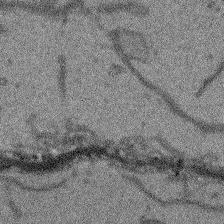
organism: Arabidopsis thaliana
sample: Root tip